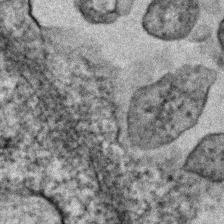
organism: Human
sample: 1205lu cells